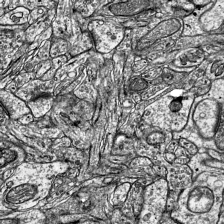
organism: Mouse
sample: Visual Cortex